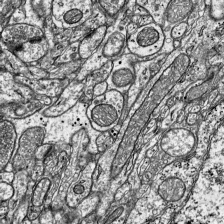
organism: Mouse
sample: Visual Cortex